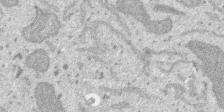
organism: Human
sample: Lung epithelial cells infected with SARS-CoV-2